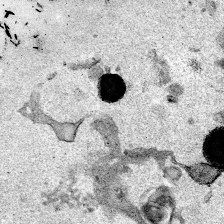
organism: Mouse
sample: Cancer cell death in ED-1 cells